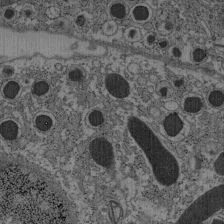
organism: C57BL Mouse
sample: Pancreatic islet